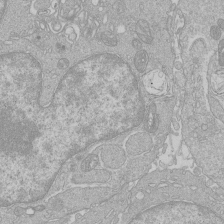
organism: Human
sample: Macrophage cells